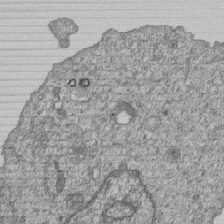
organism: Human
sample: MDA-MB-231 cells